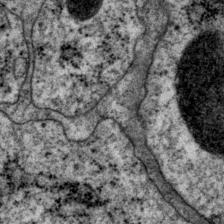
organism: P. pacificus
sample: Pharynx